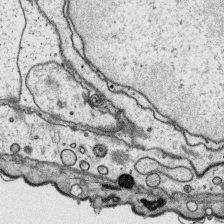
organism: Platynereis dumerilii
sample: Parapodia